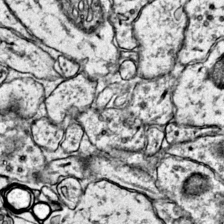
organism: Mouse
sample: Primary visual cortex